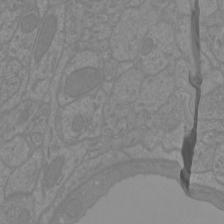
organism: Mouse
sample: Cortical neurons